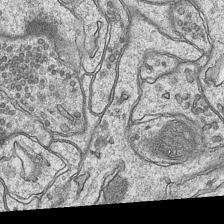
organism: Mouse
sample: CA1 Hippocampus